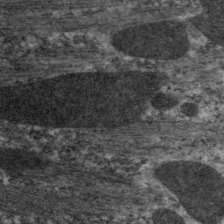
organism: C. elegans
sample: Pharynx